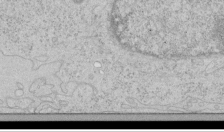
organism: Human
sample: Mitochondria in HCT116 cells